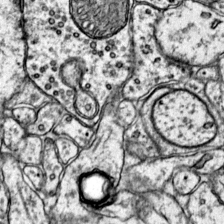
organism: Mouse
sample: Primary visual cortex